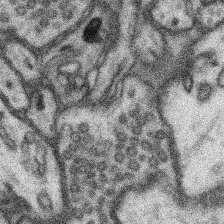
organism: Mouse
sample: Somatosensory cortex neuropil